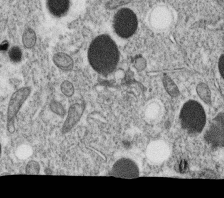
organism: C. elegans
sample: C. elegans oocyte; sperm cells